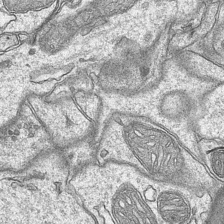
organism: Mouse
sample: CA1 Hippocampus